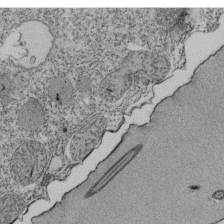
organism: Tetrahymena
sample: Cilia in tetrahymena